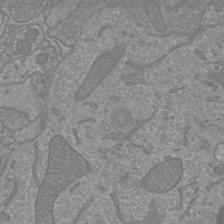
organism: Mouse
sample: Cortical neurons